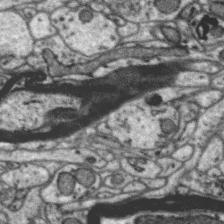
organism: Zebra finch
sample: Brain